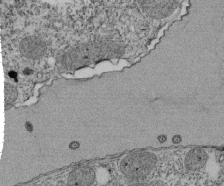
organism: Tetrahymena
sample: Cilia in tetrahymena